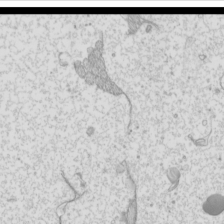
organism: Mouse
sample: Cilia; mouse epididymis